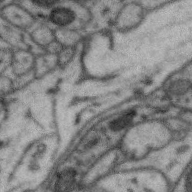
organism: Zebra finch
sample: Brain